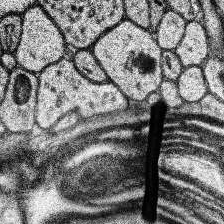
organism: Human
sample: Temporal Lobe